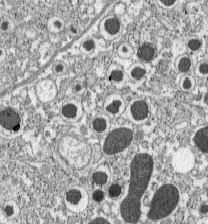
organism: C57BL Mouse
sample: Pancreatic islet